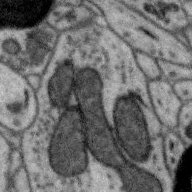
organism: Zebra finch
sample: Brain